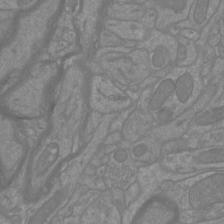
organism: Mouse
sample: Cortical neurons